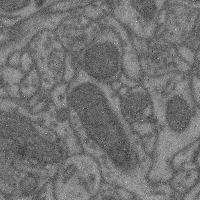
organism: Mouse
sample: Cerebral cortex